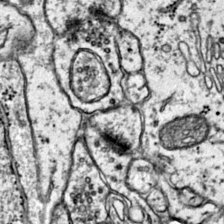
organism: Mouse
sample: Primary visual cortex